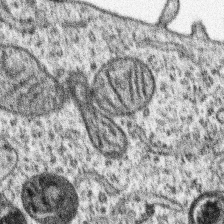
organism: Human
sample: HeLa cells